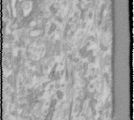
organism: Human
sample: Cilia; basal body in RPE cells